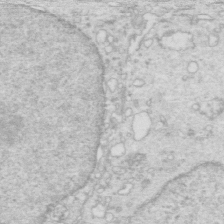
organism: Mouse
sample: Multiciliated cells